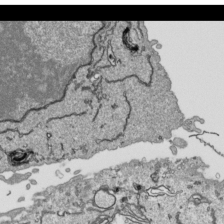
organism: Human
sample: Mitochondria in HCT116 cells